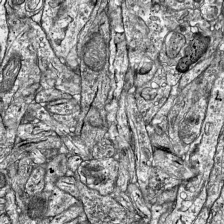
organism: Mouse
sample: Visual Cortex